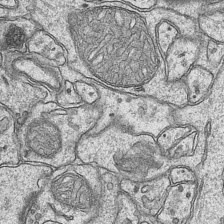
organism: Mouse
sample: CA1 Hippocampus